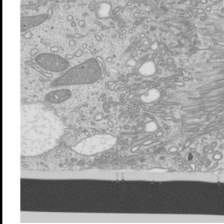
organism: Mouse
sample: Cilia; mouse epididymis